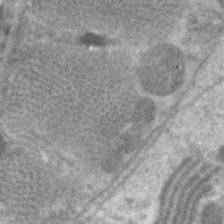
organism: C. elegans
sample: Pharynx